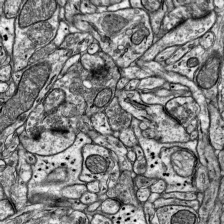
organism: Mouse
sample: Visual Cortex